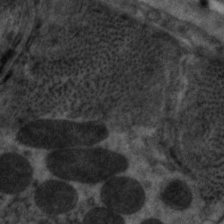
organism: C. elegans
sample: Pharynx